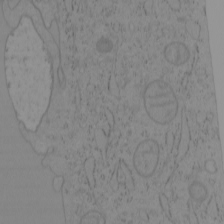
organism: Human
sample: HeLa cells